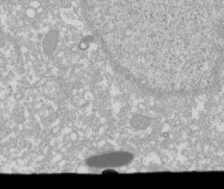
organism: Xenopus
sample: Cilia; centrioles in frog embryo cells